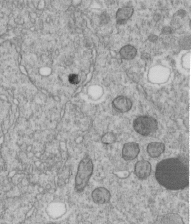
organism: C. elegans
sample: C. elegans embryo early stage